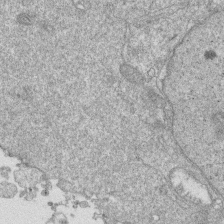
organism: Human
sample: HeLa cell HIV synapse